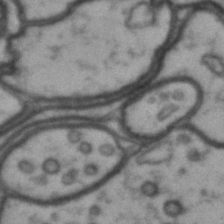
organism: Drosophila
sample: Brain